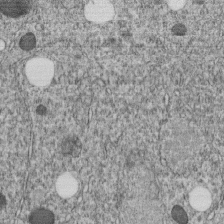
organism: C. elegans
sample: C. elegans embryo early stage